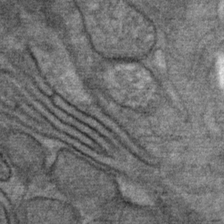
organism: Mouse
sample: Mouse Salivary gland